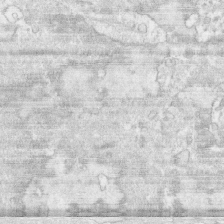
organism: Human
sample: CRL-1474